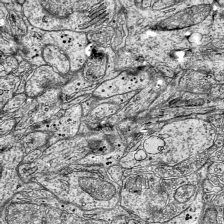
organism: Mouse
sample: Visual Cortex